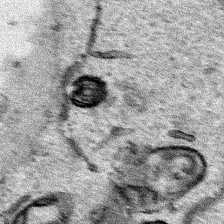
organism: Human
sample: Mitochondria in HCT116 cells